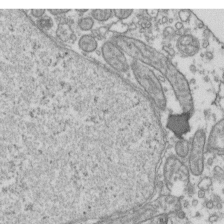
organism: Human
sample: Activated Jurkat CD4+ T cells